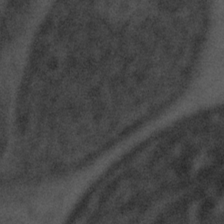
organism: Tuwongella immobilis